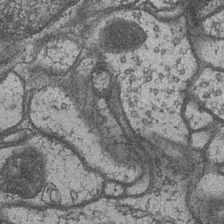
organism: Drosophila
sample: Optic medulla